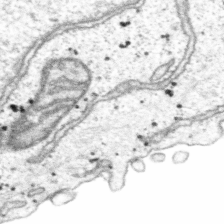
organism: Human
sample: HeLa cells